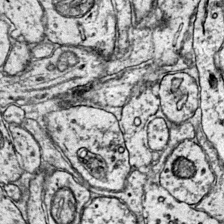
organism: Mouse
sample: Primary visual cortex